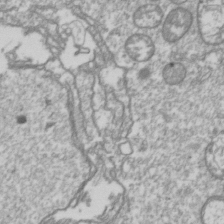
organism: Drosophila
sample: Cell division; meiosis; drosophila spermatocytes